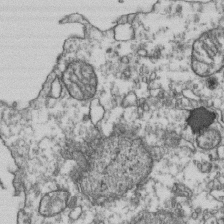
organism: Human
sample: Activated Jurkat CD4+ T cells